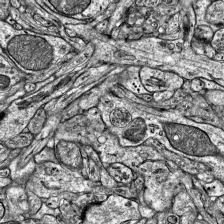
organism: Mouse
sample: Visual Cortex